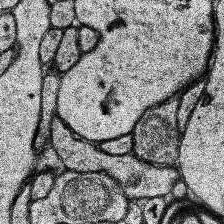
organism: Human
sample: Temporal Lobe